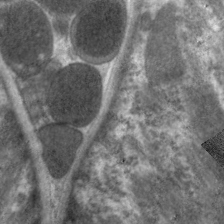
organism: C. elegans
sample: Pharynx